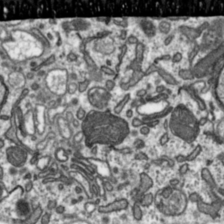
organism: Toxoplasma gondii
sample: Parasites in a vacuole inside a host cell